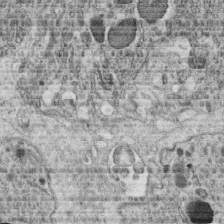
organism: C. elegans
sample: C. elegans oocyte; sperm cells